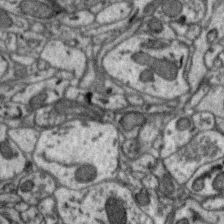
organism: Zebra finch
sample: Brain